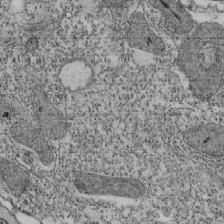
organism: Tetrahymena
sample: Cilia in tetrahymena